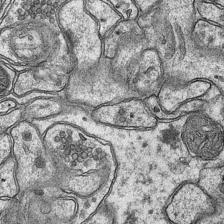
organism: Mouse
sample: CA1 Hippocampus